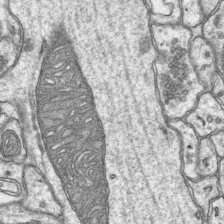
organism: Mouse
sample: CA1 Hippocampus